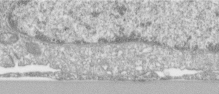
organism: Human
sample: Centriole in RPE cells